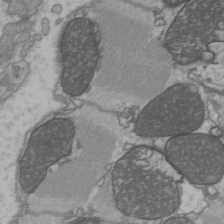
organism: C57BL Mouse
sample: Heart